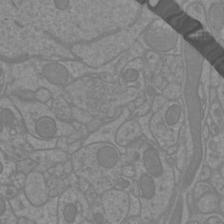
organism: Mouse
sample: Cortical neurons